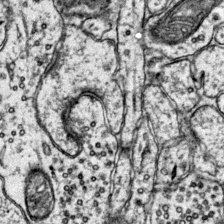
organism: Mouse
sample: Primary visual cortex